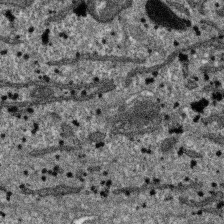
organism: Human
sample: Lung epithelial cells infected with SARS-CoV-2